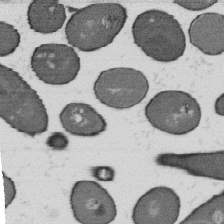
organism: B. subtilis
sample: Bacterial spore